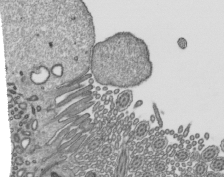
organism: Mouse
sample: Mouse epididymis efferent ductule cilia